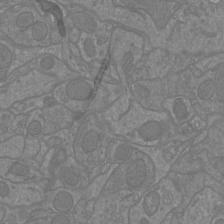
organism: Mouse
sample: Cortical neurons